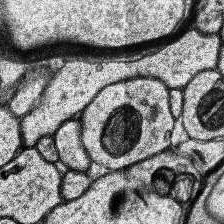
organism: Human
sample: Temporal Lobe